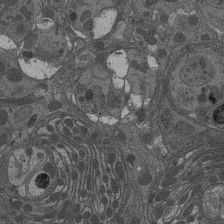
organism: Drosophila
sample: Antenna